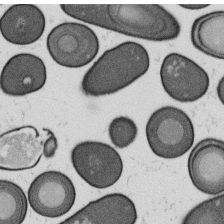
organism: B. subtilis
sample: Bacterial spore